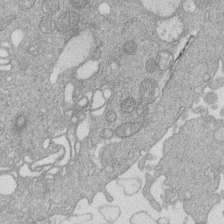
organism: Human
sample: Macrophage cells